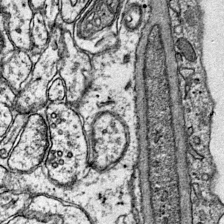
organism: Mouse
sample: Primary visual cortex